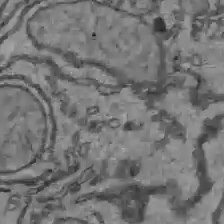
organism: C57BL Mouse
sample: Liver